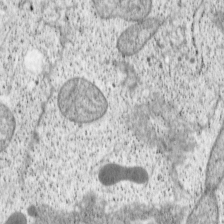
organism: African green monkey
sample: COS-7 cells